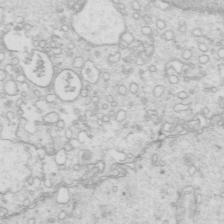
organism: Mouse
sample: Multiciliated cells